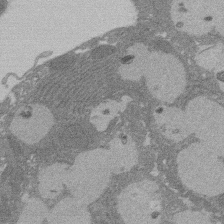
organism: Rat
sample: Salivary granule